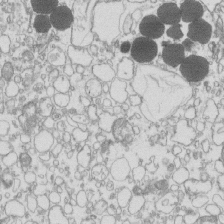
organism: Mouse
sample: Macrophages